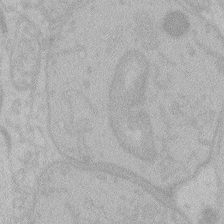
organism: Zebrafish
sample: Macrophage infected with Toxoplasma gondii